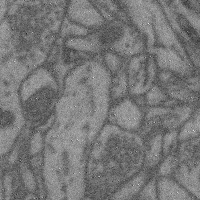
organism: Mouse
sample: Cerebral cortex